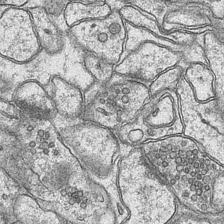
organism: Mouse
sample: CA1 Hippocampus